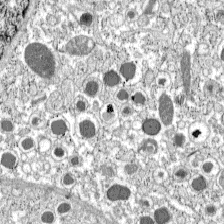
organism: C57BL Mouse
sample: Pancreatic islet